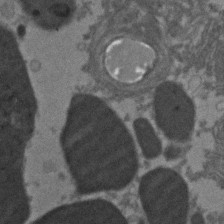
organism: Zebrafish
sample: Zebrafish embryo